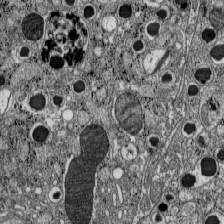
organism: C57BL Mouse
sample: Pancreatic islet